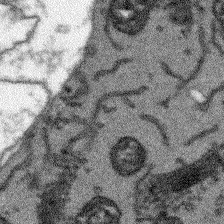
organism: Arabidopsis thaliana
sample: Root tip